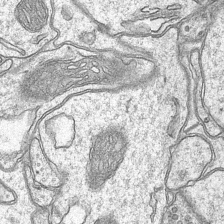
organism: Mouse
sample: CA1 Hippocampus